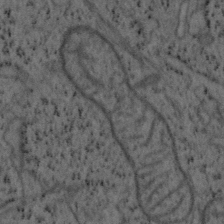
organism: Human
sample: HeLa cells